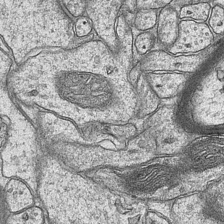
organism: Mouse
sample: CA1 Hippocampus